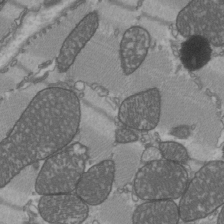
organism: C57BL Mouse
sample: Heart